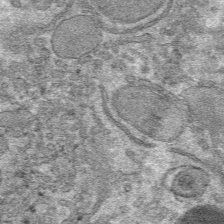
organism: Mouse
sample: Mouse hepatocytes